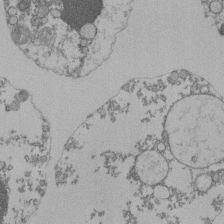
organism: Mouse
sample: Activated Pmel transgenic CD8+ T Cells